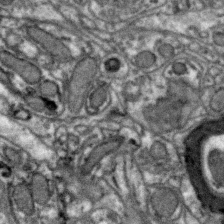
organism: Zebra finch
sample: Brain